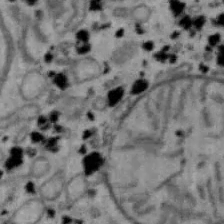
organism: Mouse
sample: Liver